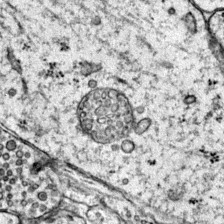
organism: Mouse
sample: Primary visual cortex